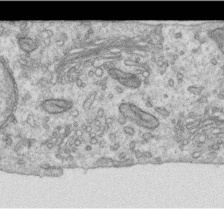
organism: Human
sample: Centriole in RPE cells